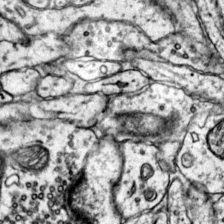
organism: Mouse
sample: Primary visual cortex